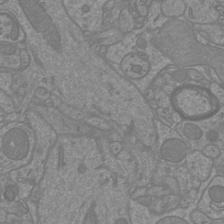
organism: Mouse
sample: Cortical neurons